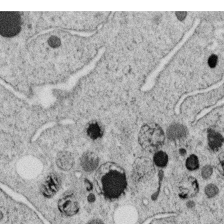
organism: C. elegans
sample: C. elegans oocyte; sperm cells